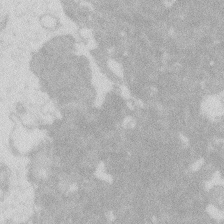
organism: Zebrafish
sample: Macrophage